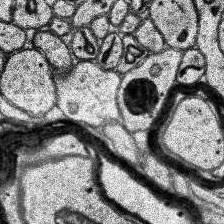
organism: Human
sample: Temporal Lobe